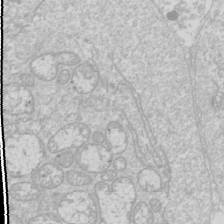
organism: Drosophila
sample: Cell division; meiosis; drosophila spermatocytes